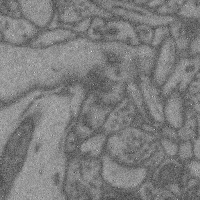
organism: Mouse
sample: Cerebral cortex